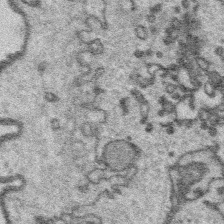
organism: Platynereis dumerilii